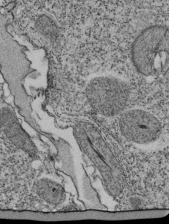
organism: Tetrahymena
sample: Cilia in tetrahymena